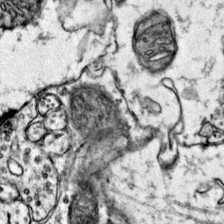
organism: Mouse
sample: Primary visual cortex